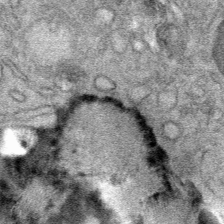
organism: Mouse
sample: Mouse Salivary gland